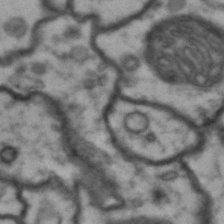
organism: Drosophila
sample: Brain